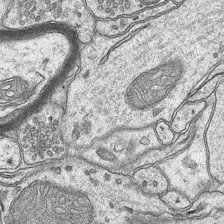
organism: Mouse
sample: CA1 Hippocampus